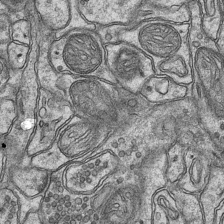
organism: Mouse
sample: CA1 Hippocampus